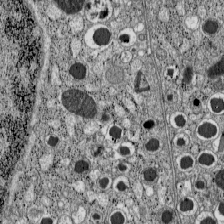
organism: C57BL Mouse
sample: Pancreatic islet